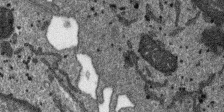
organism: Human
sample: Lung epithelial cells infected with SARS-CoV-2